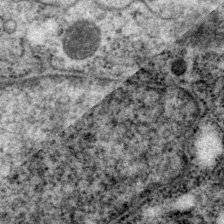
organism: P. pacificus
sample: Pharynx